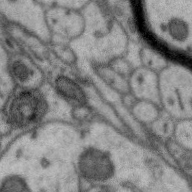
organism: Zebra finch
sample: Brain